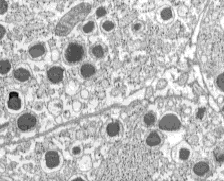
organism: C57BL Mouse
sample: Pancreatic islet